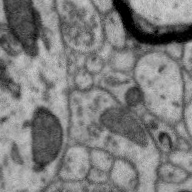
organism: Zebra finch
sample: Brain